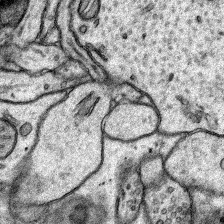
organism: Rat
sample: Hippocampus